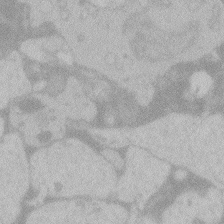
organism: Zebrafish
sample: Macrophage infected with Toxoplasma gondii